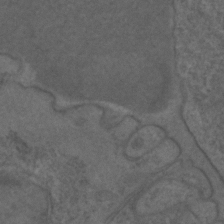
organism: C. elegans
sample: C. elegans embryo